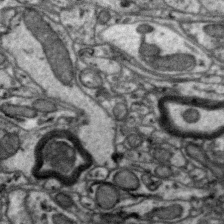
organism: Zebra finch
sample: Brain